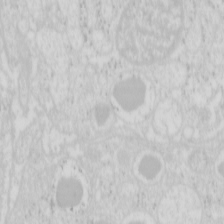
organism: Mouse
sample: Pancreas